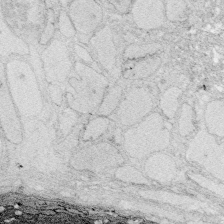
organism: Zebrafish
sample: Whole-Brain